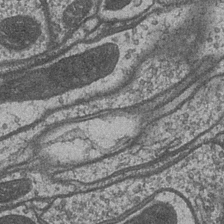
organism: Drosophila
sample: Optic medulla